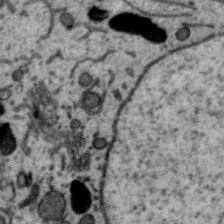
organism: Zebra finch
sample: Brain